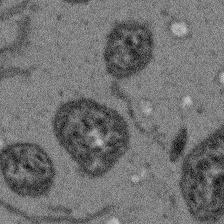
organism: Arabidopsis thaliana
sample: Root tip